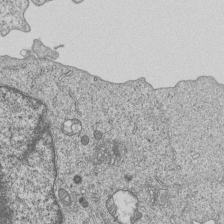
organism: Human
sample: MDA-MB-231 cells